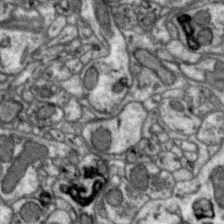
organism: Zebra finch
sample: Brain